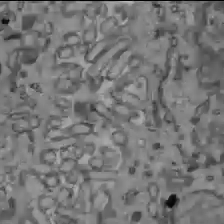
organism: C57BL Mouse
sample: Liver